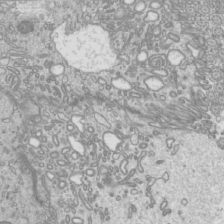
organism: Mouse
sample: Cilia; mouse epididymis